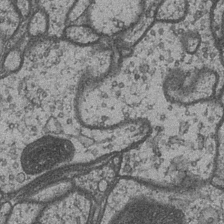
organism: Drosophila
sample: Optic medulla